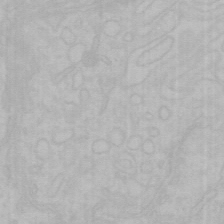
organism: Mouse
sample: Choroid plexus